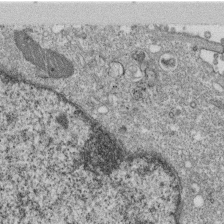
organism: African green monkey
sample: Vero E6 cells infected with SARS-CoV-2